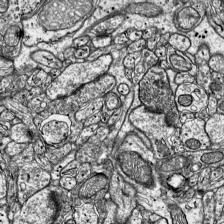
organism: Mouse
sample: Visual Cortex